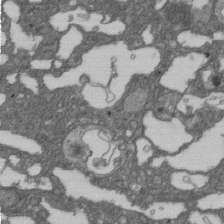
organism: Drosophila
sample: Nephrocyte